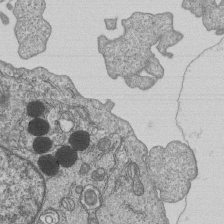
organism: Human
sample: MDA-MB-231 cells